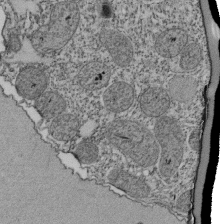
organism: Tetrahymena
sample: Cilia in tetrahymena